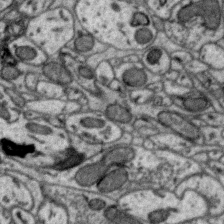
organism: Zebra finch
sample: Brain